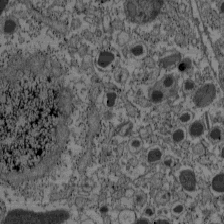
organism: C57BL Mouse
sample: Pancreatic islet